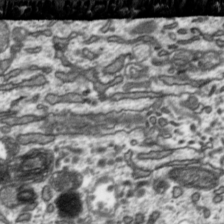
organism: Toxoplasma gondii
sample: Parasites in a vacuole inside a host cell